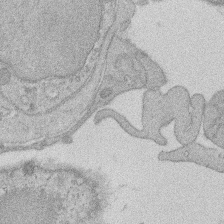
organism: Rat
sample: Salivary granule